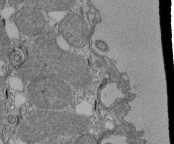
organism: Tetrahymena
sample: Cilia in tetrahymena